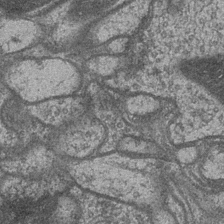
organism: Drosophila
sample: Optic medulla